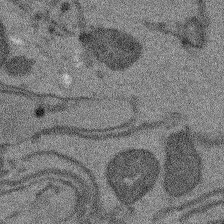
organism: Arabidopsis thaliana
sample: Root tip